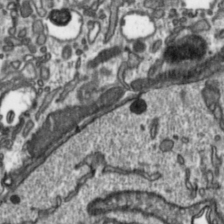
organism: Toxoplasma gondii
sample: Parasites in a vacuole inside a host cell